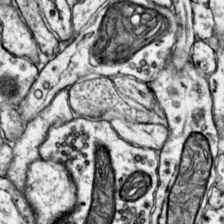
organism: Mouse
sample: Primary visual cortex